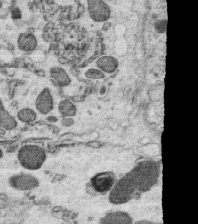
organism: C. elegans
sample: C. elegans oocyte; sperm cells